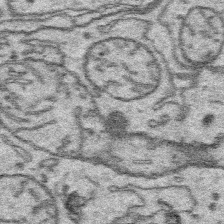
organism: Platynereis dumerilii